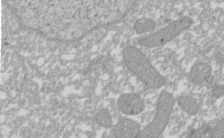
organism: Xenopus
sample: Cilia; centrioles in frog embryo cells